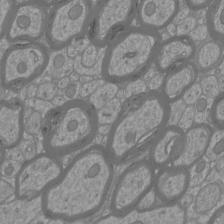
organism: Mouse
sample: Cortical neurons